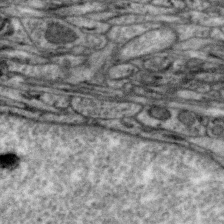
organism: Zebra finch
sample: Brain